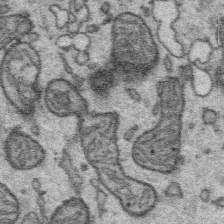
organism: Platynereis dumerilii